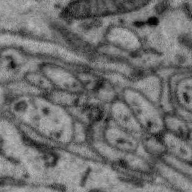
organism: Zebra finch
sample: Brain